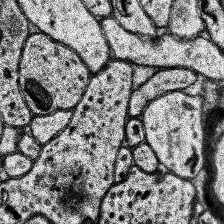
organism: Human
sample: Temporal Lobe